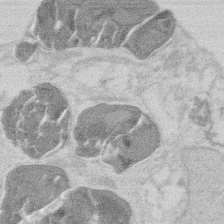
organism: Mouse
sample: T cell stromal cell synapse